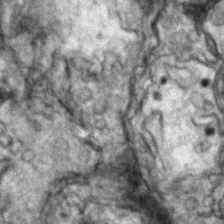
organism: Zebrafish